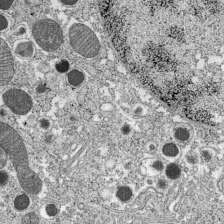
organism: C57BL Mouse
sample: Pancreatic islet